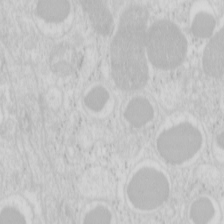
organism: Mouse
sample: Pancreas